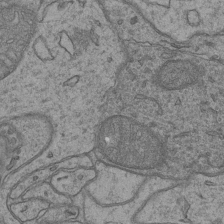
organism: Mouse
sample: CA1 Hippocampus